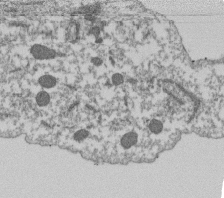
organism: Dictyostelium discoideum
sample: Dictyostelium multivesicular bodies